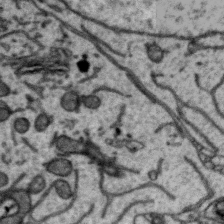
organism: Zebra finch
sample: Brain